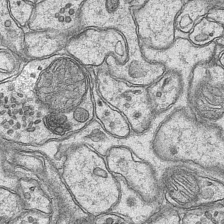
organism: Mouse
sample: CA1 Hippocampus